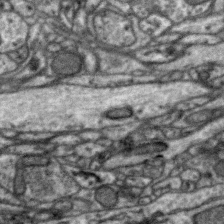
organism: Zebra finch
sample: Brain